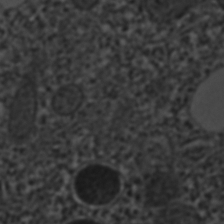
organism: C. elegans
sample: C. elegans embryo